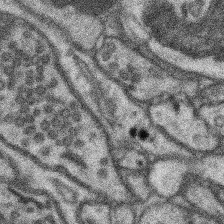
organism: Mouse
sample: Somatosensory cortex neuropil